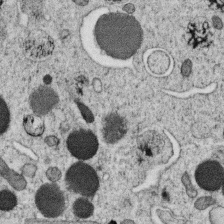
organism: C. elegans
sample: C. elegans oocyte; sperm cells